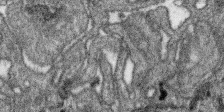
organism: Human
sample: Lung epithelial cells infected with SARS-CoV-2